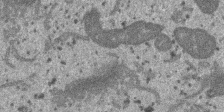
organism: Human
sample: Lung epithelial cells infected with SARS-CoV-2